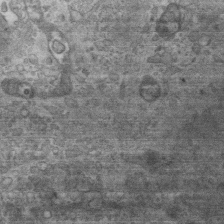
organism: Mouse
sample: Centriole in ependymal cells